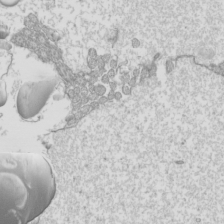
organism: Mouse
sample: Cilia; mouse epididymis